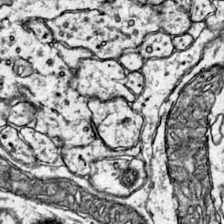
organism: Mouse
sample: Primary visual cortex